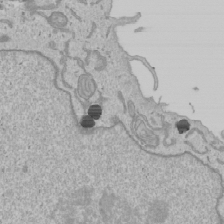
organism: Human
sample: Mitochondria in U2OS cells